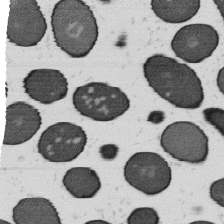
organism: B. subtilis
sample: Bacterial spore